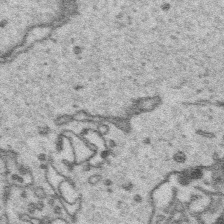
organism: Platynereis dumerilii